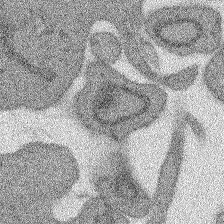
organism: Human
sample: HeLa cells